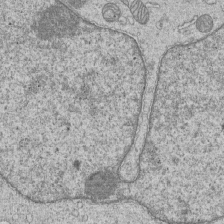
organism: Human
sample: MDA-MB-231 cells